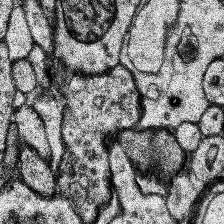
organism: Human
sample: Temporal Lobe